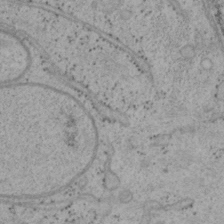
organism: Human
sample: HeLa cells